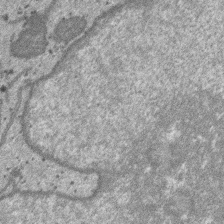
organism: Human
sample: Lung epithelial cells infected with SARS-CoV-2